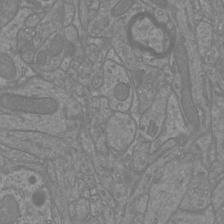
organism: Mouse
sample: Cortical neurons